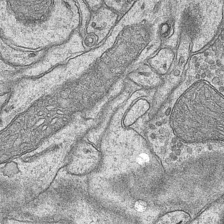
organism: Mouse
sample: CA1 Hippocampus